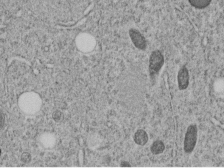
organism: C. elegans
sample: C. elegans embryo early stage